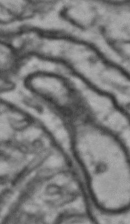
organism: Drosophila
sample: Brain